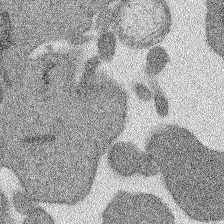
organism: Human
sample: HeLa cells